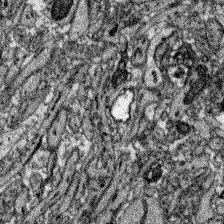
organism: Zebrafish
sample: Larval olfactory bulb